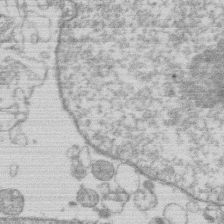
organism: Human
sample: Macrophage cells